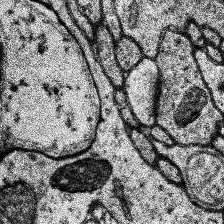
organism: Human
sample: Temporal Lobe